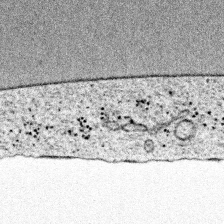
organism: Human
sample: HeLa cells